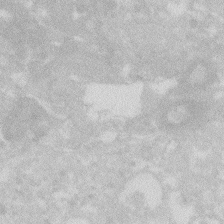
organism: Zebrafish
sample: Macrophage